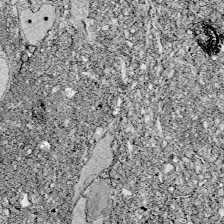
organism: Zebrafish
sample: Whole-Brain